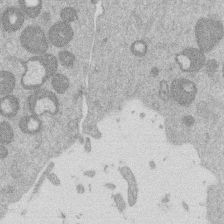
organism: Mouse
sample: Dividing mouse embryo 1 cell stage